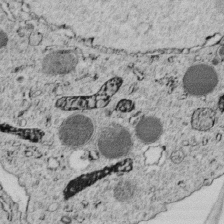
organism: C. elegans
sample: C. elegans embryo early stage